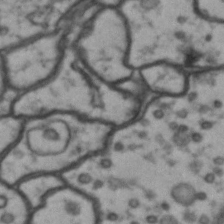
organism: Drosophila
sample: Brain